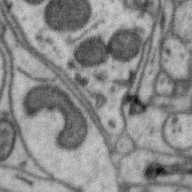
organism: Zebra finch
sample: Brain